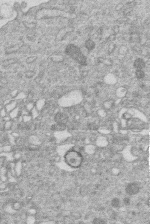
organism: Human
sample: Macrophage cells